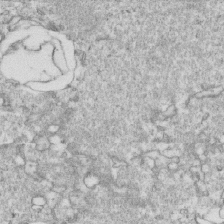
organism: Mouse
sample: Activated OT-1 CD8+ T cells